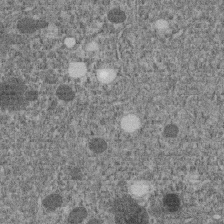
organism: C. elegans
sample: C. elegans embryo early stage